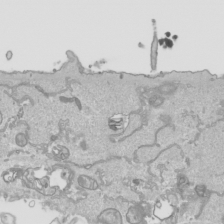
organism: Human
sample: Mitochondria in HCT116 cells